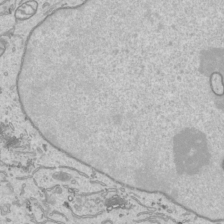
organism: Human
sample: Mitochondria in HCT116 cells